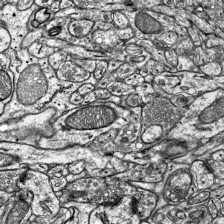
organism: Mouse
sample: Visual Cortex